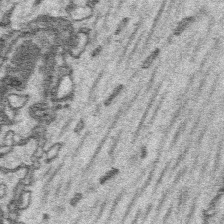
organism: Platynereis dumerilii